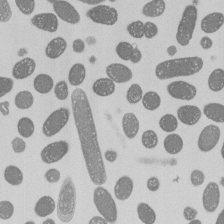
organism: E. coli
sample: Bacterial nucleoid